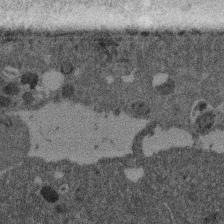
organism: Mouse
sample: Dividing mouse embryo 1 cell stage